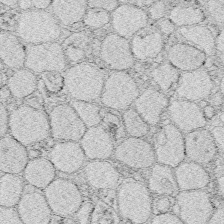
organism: Zebrafish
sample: Whole-Brain